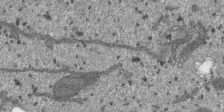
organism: Human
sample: Lung epithelial cells infected with SARS-CoV-2